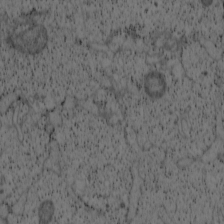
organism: African green monkey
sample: COS-7 cells